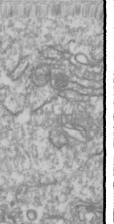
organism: Drosophila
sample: Cell division; meiosis; drosophila spermatocytes